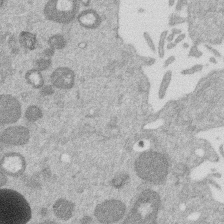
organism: Mouse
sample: Dividing mouse embryo 1 cell stage